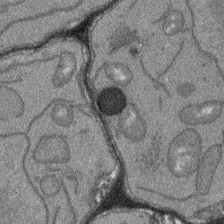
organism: Arabidopsis thaliana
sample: Root tip